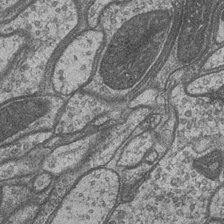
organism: Drosophila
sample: Optic medulla